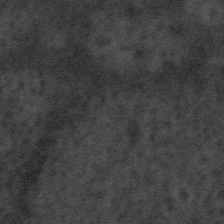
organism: Tuwongella immobilis